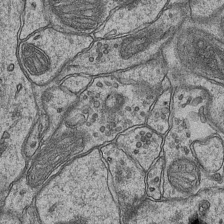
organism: Mouse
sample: CA1 Hippocampus